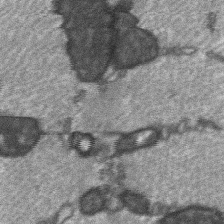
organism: C57BL Mouse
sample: Soleus